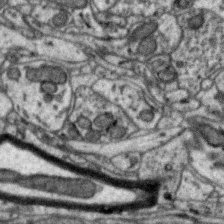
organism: Zebra finch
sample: Brain